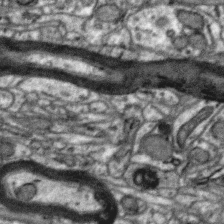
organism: Zebra finch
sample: Brain